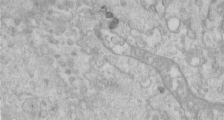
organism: Human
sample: Centriole in RPE cells